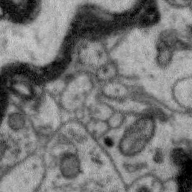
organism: Zebra finch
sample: Brain